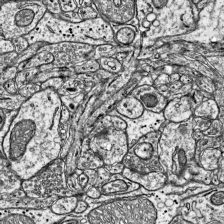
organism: Mouse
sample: Visual Cortex